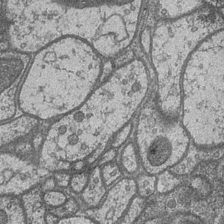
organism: Drosophila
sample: Optic medulla